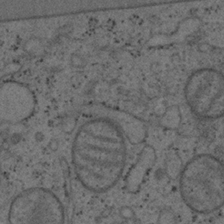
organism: Human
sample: HeLa cells